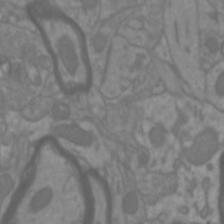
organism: Mouse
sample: Cortical neurons